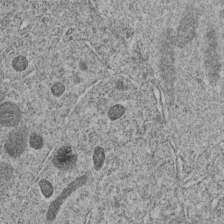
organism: C. elegans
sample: C. elegans embryo early stage